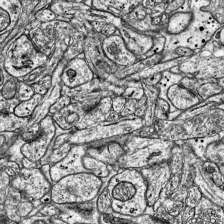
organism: Mouse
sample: Visual Cortex